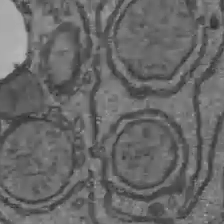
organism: C57BL Mouse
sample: Liver